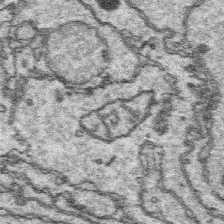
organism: Platynereis dumerilii